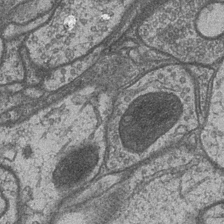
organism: Drosophila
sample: Optic medulla